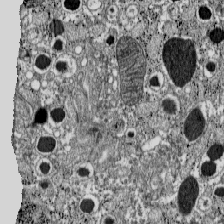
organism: C57BL Mouse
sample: Pancreatic islet